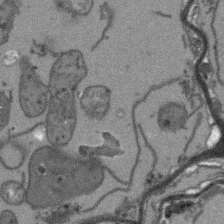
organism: Arabidopsis thaliana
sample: Root tip